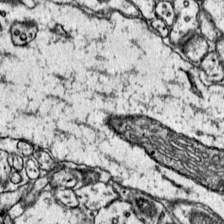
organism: Mouse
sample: Primary visual cortex